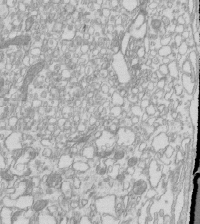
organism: Mouse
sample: Macrophages